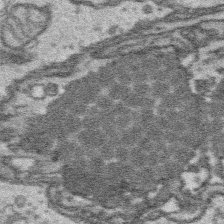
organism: Platynereis dumerilii